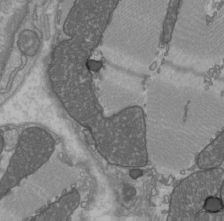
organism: C57BL Mouse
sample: Heart